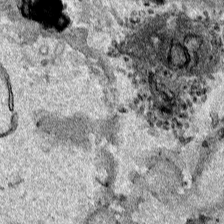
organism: Human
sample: Mitochondria in HCT116 cells